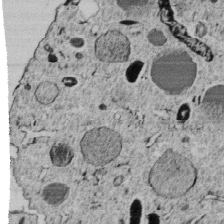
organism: C. elegans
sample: C. elegans embryo early stage